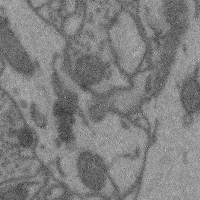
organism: Mouse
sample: Cerebral cortex